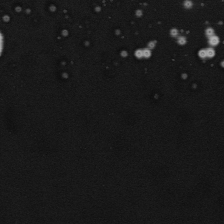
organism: Mouse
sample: Cancer cell death in ED-1 cells